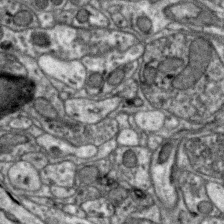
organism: Zebra finch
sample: Brain